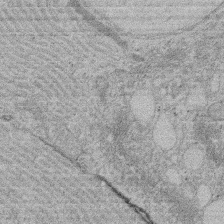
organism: Rat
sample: Salivary granule